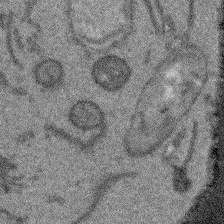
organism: Arabidopsis thaliana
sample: Root tip